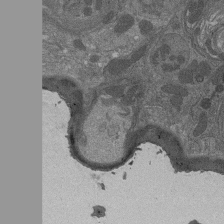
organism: Drosophila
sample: Antenna